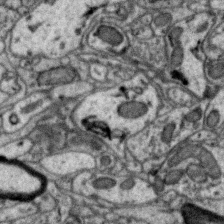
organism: Zebra finch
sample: Brain